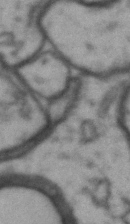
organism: Drosophila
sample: Brain